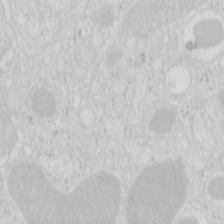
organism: Mouse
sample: Pancreas